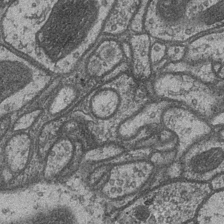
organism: Drosophila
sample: Optic medulla